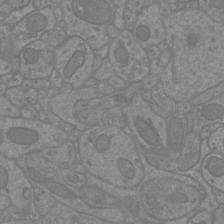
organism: Mouse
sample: Cortical neurons